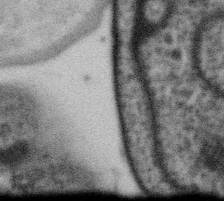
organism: Gemmata obscuriglobus